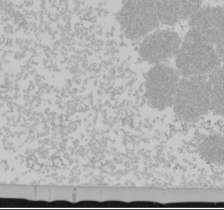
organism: Mouse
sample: Cancer cell death in ED-1 cells